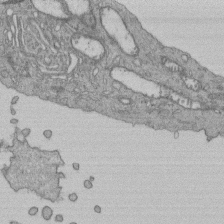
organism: Human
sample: Retinal organoid Rod and Cone cells